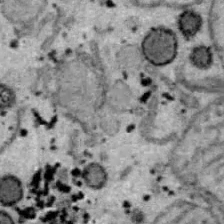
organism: Mouse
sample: Liver from an obese (ob/ob) mouse